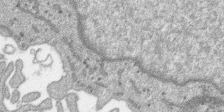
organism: Human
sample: Lung epithelial cells infected with SARS-CoV-2